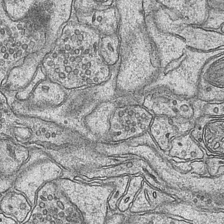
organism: Mouse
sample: CA1 Hippocampus